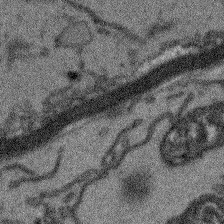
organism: Arabidopsis thaliana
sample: Root tip